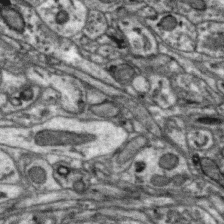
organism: Zebra finch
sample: Brain